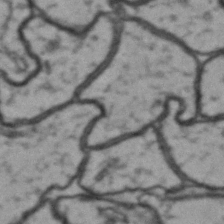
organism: Drosophila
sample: Brain